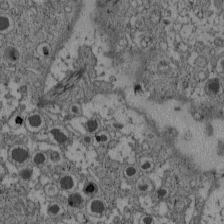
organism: C57BL Mouse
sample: Pancreatic islet